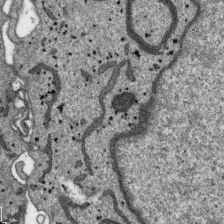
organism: Human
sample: Lung epithelial cells, uninfected (mock) control